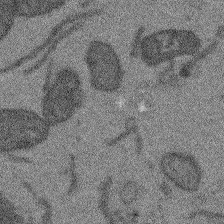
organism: Arabidopsis thaliana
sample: Root tip